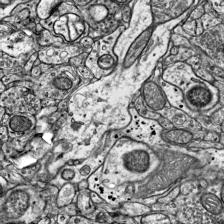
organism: Mouse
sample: Visual Cortex